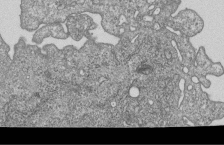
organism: Human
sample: MDA-MB-231 cells